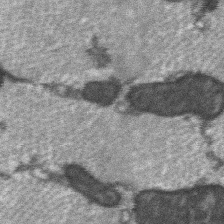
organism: C57BL Mouse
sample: Soleus